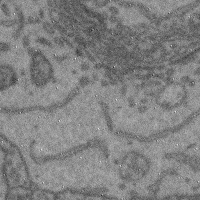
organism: Mouse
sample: Cerebral cortex